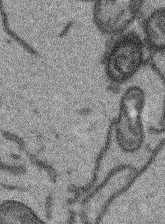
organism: Arabidopsis thaliana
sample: Root tip